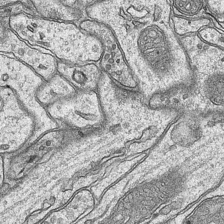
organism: Mouse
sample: CA1 Hippocampus